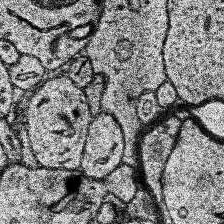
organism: Human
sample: Temporal Lobe